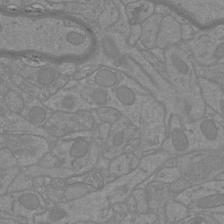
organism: Mouse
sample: Cortical neurons